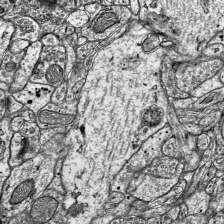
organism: Mouse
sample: Visual Cortex